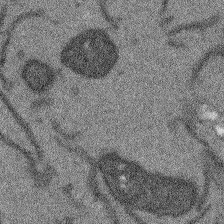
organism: Arabidopsis thaliana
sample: Root tip